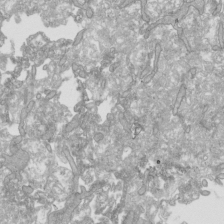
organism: Human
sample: Mitochondria in HCT116 cells